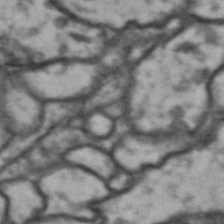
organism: Drosophila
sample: Brain